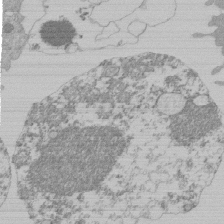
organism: Mouse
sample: Activated Pmel transgenic CD8+ T Cells